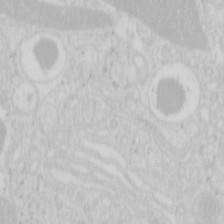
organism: Mouse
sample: Pancreas